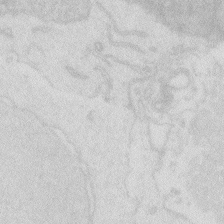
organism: Zebrafish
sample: Macrophage